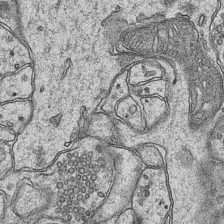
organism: Mouse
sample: CA1 Hippocampus